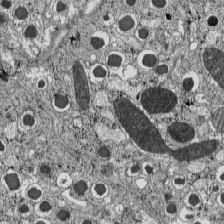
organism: C57BL Mouse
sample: Pancreatic islet